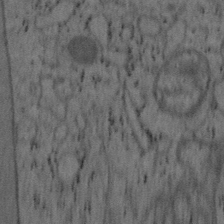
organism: Human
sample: HeLa cells